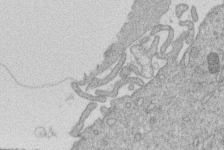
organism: Human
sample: Macrophage cells